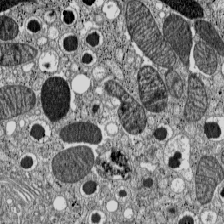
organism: C57BL Mouse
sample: Pancreatic islet